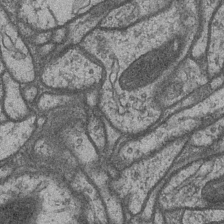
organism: Drosophila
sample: Optic medulla